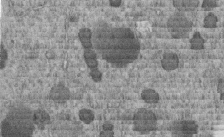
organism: C. elegans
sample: C. elegans embryo early stage